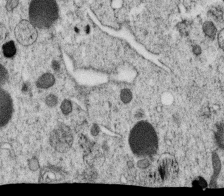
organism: C. elegans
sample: C. elegans oocyte; sperm cells